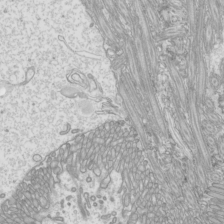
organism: Mouse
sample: Cilia; mouse epididymis